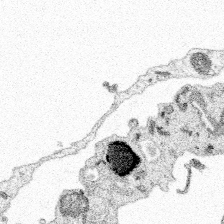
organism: Spongilla lacustris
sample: Multiple